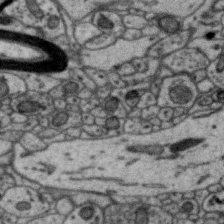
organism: Zebra finch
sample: Brain